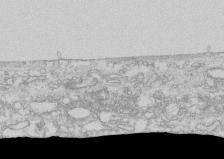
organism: Human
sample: CRL-1474